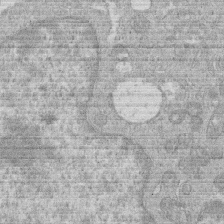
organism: Human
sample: Macrophage cells